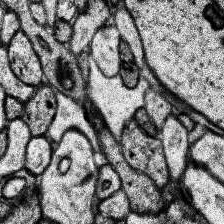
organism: Human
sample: Temporal Lobe